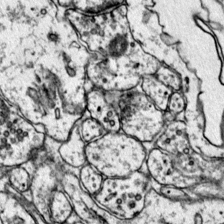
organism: Mouse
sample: Primary visual cortex